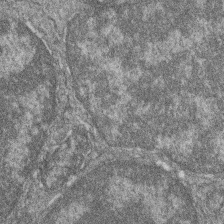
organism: Zebrafish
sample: Cilia; retinal pigment epithelium